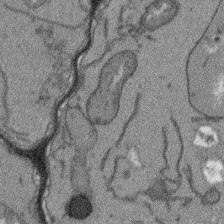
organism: Arabidopsis thaliana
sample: Root tip